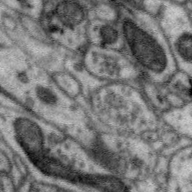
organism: Zebra finch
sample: Brain